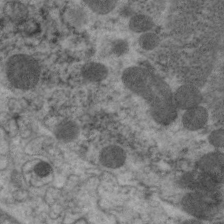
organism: C. elegans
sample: Pharynx